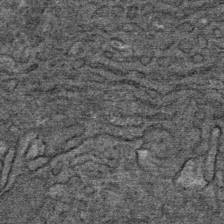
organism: Mouse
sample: Mouse Salivary gland